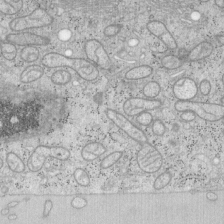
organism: Mouse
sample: OT-I killer T cells with ID8 ovarian cancer cells